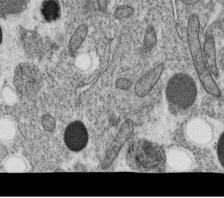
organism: C. elegans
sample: C. elegans oocyte; sperm cells